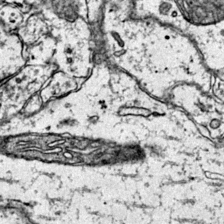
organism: Mouse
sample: Primary visual cortex